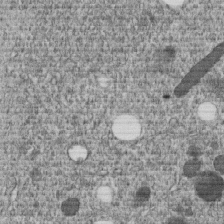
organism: C. elegans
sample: C. elegans embryo early stage